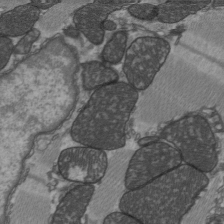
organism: C57BL Mouse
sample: Heart